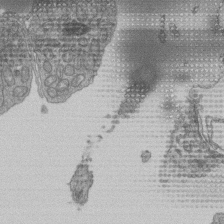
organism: Human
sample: Retinal organoid Rod and Cone cells